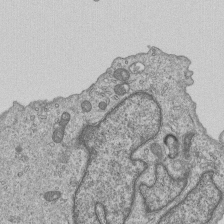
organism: Human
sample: MDA-MB-231 cells